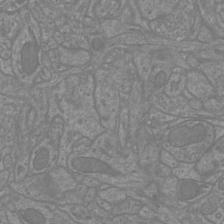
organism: Mouse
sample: Cortical neurons